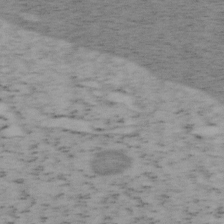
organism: Mouse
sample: OT-I killer T cells with ID8 ovarian cancer cells